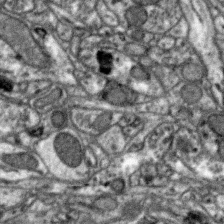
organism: Zebra finch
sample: Brain